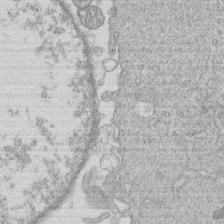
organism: Human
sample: Macrophage cells